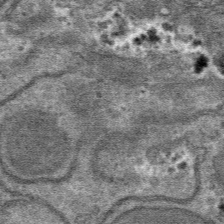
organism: Mouse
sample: Mouse hepatocytes